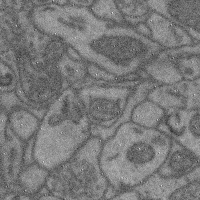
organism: Mouse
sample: Cerebral cortex